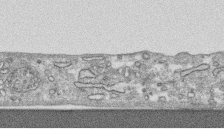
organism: Human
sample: CRL-1474